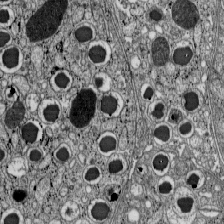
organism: C57BL Mouse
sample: Pancreatic islet